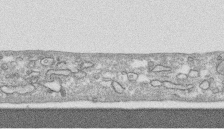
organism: Human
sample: CRL-1474